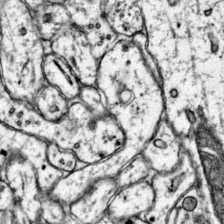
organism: Mouse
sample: Primary visual cortex